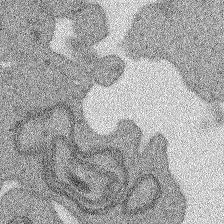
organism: Human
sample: HeLa cells